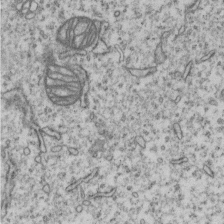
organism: Human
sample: MDA-MB-231 cells